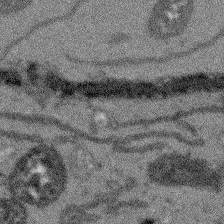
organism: Arabidopsis thaliana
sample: Root tip